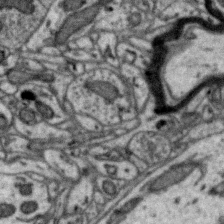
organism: Zebra finch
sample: Brain